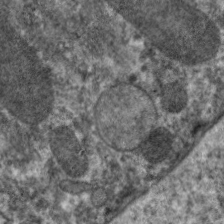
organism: C. elegans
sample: Pharynx